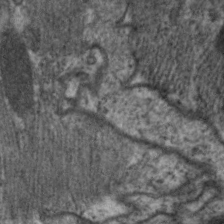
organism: C. elegans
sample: Pharynx